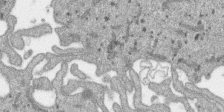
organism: Human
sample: Lung epithelial cells infected with SARS-CoV-2